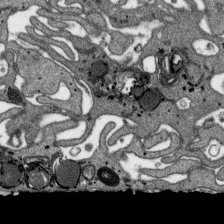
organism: Human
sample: Lung epithelial cells, uninfected (mock) control